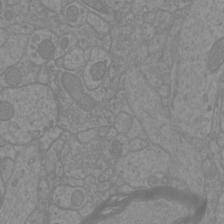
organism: Mouse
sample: Cortical neurons